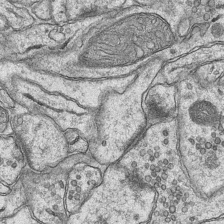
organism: Mouse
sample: CA1 Hippocampus